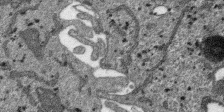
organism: Human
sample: Lung epithelial cells infected with SARS-CoV-2